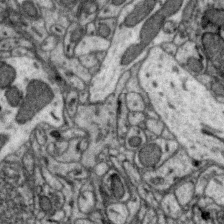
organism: Zebra finch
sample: Brain